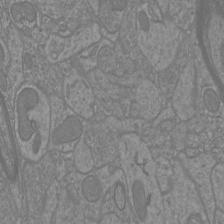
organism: Mouse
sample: Cortical neurons